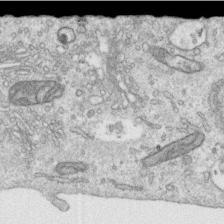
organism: Human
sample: Centriole in RPE cells